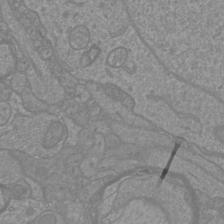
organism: Mouse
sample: Cortical neurons